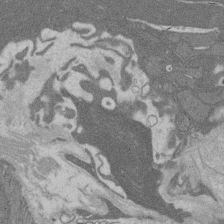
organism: Rat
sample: Salivary granule